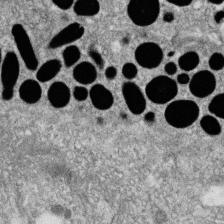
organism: Zebrafish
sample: Cilia; retinal pigment epithelium